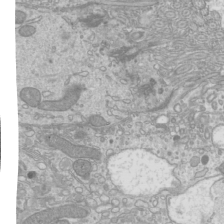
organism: Mouse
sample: Cilia; mouse epididymis